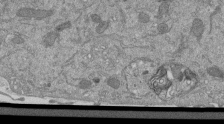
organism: Mouse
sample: ED-1 cell nuclei; centrioles